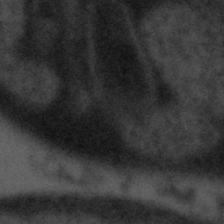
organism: Tuwongella immobilis